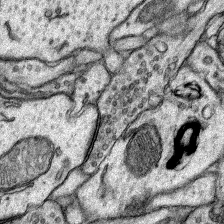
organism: Rat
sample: Hippocampus